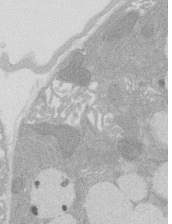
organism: Rat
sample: Salivary granule